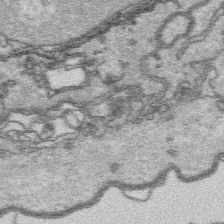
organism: Platynereis dumerilii